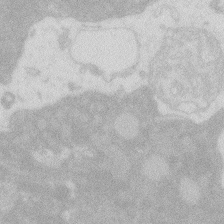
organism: Zebrafish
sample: Macrophage